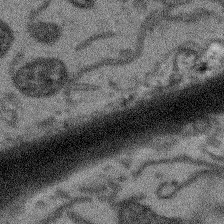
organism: Arabidopsis thaliana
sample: Root tip